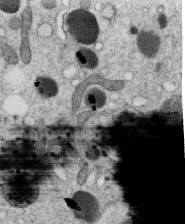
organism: C. elegans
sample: C. elegans oocyte; sperm cells